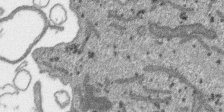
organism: Human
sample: Lung epithelial cells infected with SARS-CoV-2